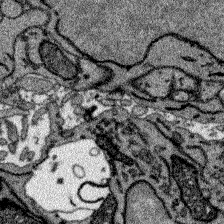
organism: Zebrafish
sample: Larval olfactory bulb